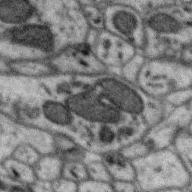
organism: Zebra finch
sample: Brain